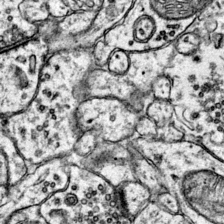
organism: Mouse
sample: Primary visual cortex